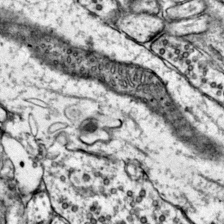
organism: Mouse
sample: Primary visual cortex